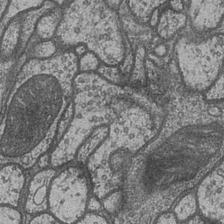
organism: Drosophila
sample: Optic medulla